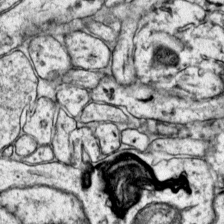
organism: Mouse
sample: Primary visual cortex